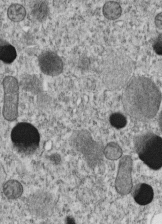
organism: C. elegans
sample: C. elegans embryo early stage